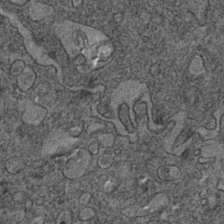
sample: Trachea